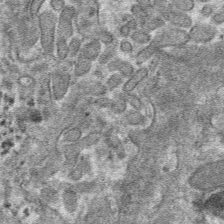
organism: Mouse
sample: Mouse hepatocytes